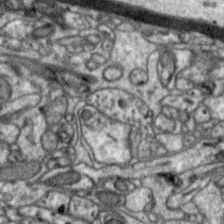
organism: Zebra finch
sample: Brain